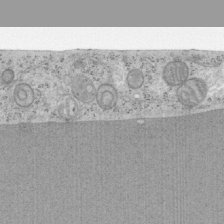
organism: Human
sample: HeLa cells